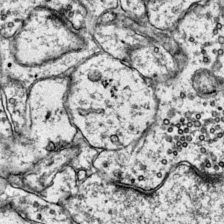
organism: Mouse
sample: Primary visual cortex